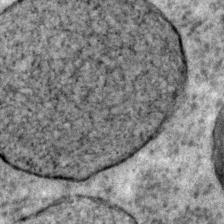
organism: C. elegans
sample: C. elegans embryo